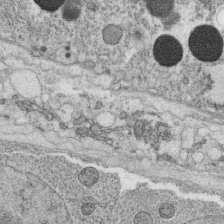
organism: C. elegans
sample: C. elegans oocyte; sperm cells